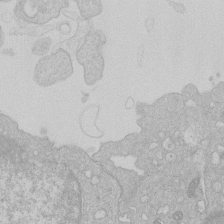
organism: Human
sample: Macrophage cells